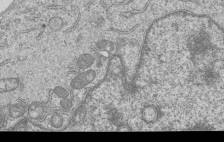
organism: Human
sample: MDA-MB-231 cells